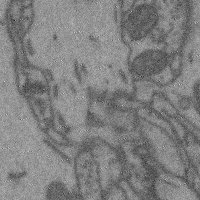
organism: Mouse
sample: Cerebral cortex